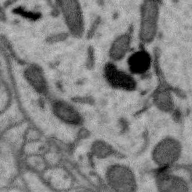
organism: Zebra finch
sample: Brain